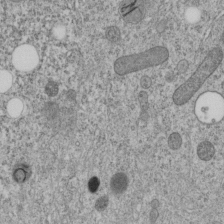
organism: C. elegans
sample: C. elegans embryo early stage